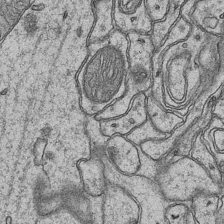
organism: Mouse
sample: CA1 Hippocampus